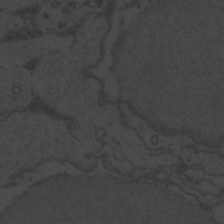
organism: Zebrafish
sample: Macrophage infected with Toxoplasma gondii